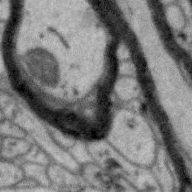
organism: Zebra finch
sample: Brain